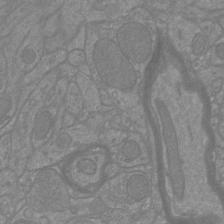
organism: Mouse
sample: Cortical neurons